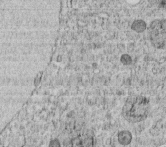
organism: C. elegans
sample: C. elegans embryo early stage